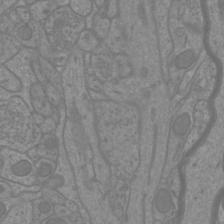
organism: Mouse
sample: Cortical neurons